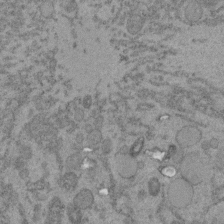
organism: C. elegans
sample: C. elegans embryo early stage